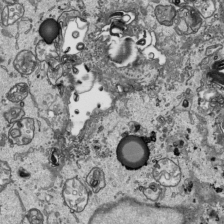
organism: Human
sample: Mitochondria in HCT116 cells